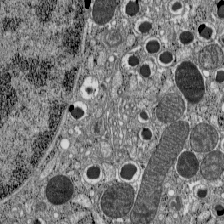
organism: C57BL Mouse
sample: Pancreatic islet